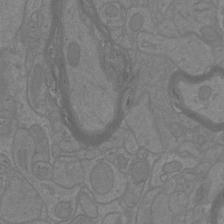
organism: Mouse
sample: Cortical neurons